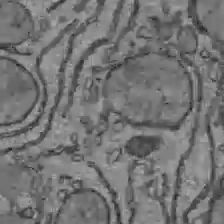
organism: C57BL Mouse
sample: Liver